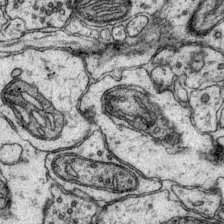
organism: Mouse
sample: Primary visual cortex